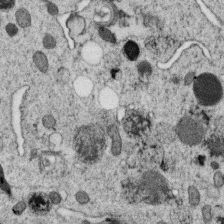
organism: C. elegans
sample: C. elegans oocyte; sperm cells